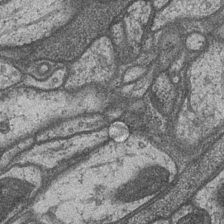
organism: Drosophila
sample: Optic medulla